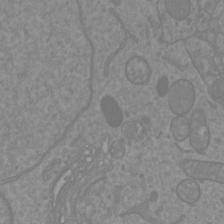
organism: Mouse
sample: Cortical neurons